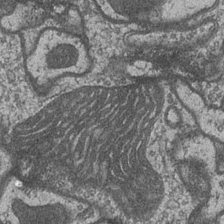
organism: Drosophila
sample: Optic medulla